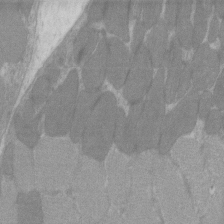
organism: C57BL Mouse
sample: Tibialis anterior muscle cell